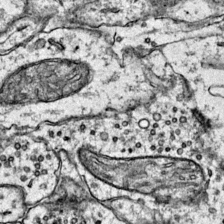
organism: Mouse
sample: Primary visual cortex